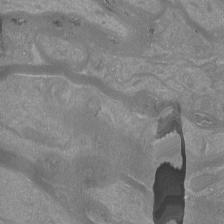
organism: Mouse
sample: Cortical neurons